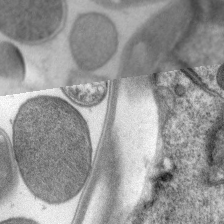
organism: C. elegans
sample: Pharynx